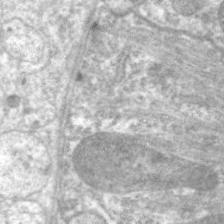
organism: C. elegans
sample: Pharynx